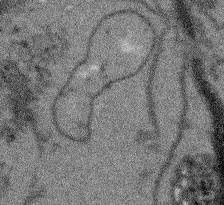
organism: Arabidopsis thaliana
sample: Root tip